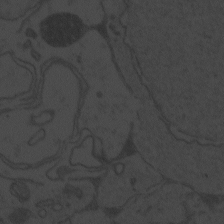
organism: Zebrafish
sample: Macrophage infected with Toxoplasma gondii